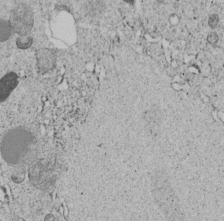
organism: C. elegans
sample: C. elegans embryo early stage